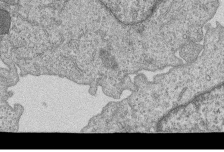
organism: Human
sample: MDA-MB-231 cells